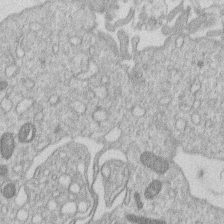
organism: Human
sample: Macrophage cells